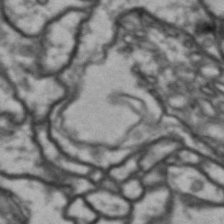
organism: Drosophila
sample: Brain